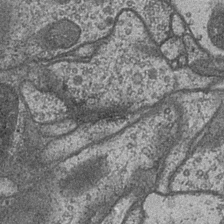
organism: Drosophila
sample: Optic medulla